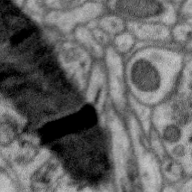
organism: Zebra finch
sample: Brain